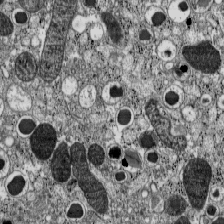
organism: C57BL Mouse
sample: Pancreatic islet